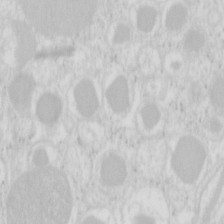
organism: Mouse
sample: Pancreas